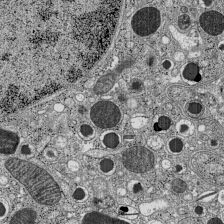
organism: C57BL Mouse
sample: Pancreatic islet